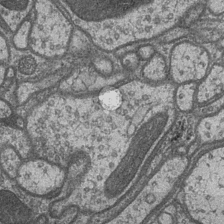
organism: Drosophila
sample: Optic medulla